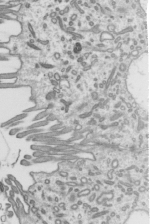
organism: Mouse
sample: Mouse epididymis efferent ductule cilia